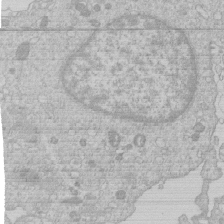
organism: Human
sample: Macrophage cells